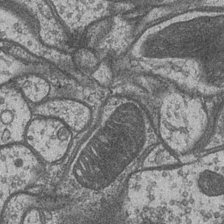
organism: Drosophila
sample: Optic medulla